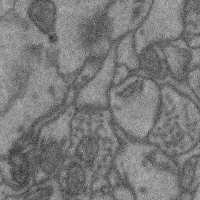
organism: Mouse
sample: Cerebral cortex